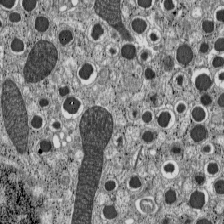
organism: C57BL Mouse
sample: Pancreatic islet